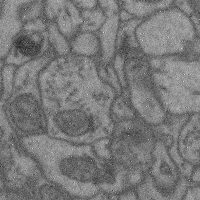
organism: Mouse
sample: Cerebral cortex